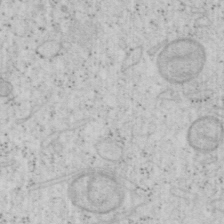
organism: Human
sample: HeLa cells